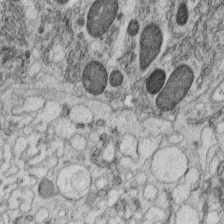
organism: C. elegans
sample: C. elegans oocyte; sperm cells